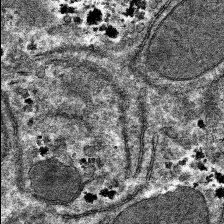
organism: Mouse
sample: Mouse hepatocytes